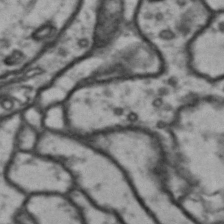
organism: Drosophila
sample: Brain